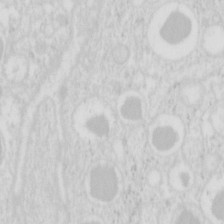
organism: Mouse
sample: Pancreas